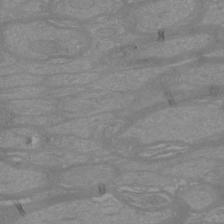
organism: Mouse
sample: Cortical neurons